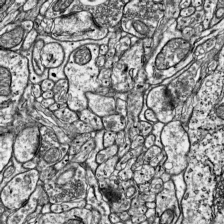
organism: Mouse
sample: Visual Cortex